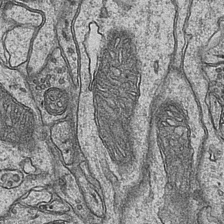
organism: Mouse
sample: CA1 Hippocampus